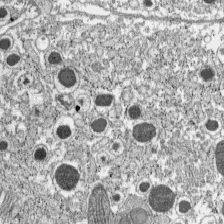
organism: C57BL Mouse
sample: Pancreatic islet